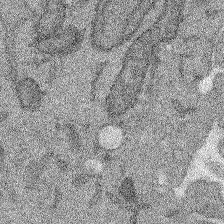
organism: Human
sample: HeLa cells